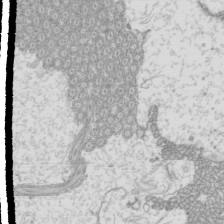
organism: Mouse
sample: Cilia; mouse epididymis